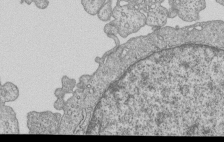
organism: Human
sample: MDA-MB-231 cells